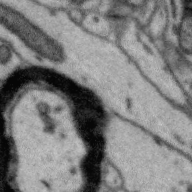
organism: Zebra finch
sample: Brain